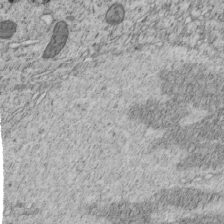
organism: C. elegans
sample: C. elegans embryo early stage